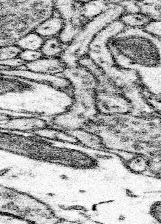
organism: Mouse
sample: Somatosensory cortex neuropil